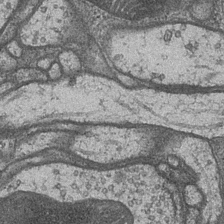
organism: Drosophila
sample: Optic medulla